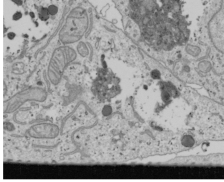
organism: Human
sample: Mitochondria in U2OS cells